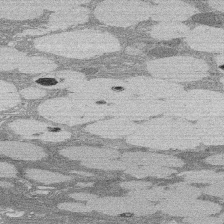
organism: Rat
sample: Salivary granule